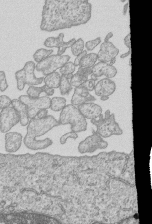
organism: Human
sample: MDA-MB-231 cells